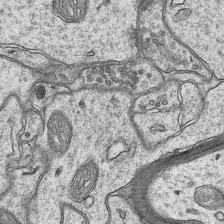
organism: Mouse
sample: CA1 Hippocampus